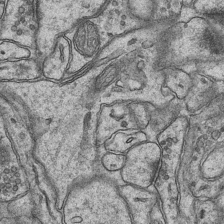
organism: Mouse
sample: CA1 Hippocampus